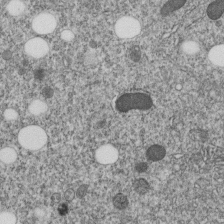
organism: C. elegans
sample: C. elegans embryo early stage